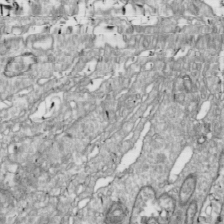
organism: Drosophila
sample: Cell division; meiosis; drosophila spermatocytes